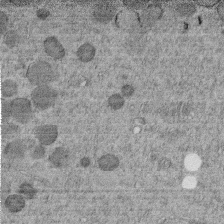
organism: C. elegans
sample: C. elegans embryo early stage